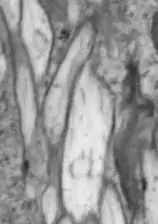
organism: Drosophila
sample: Optic lobe